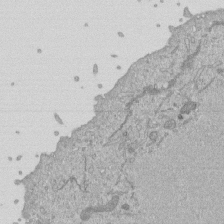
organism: Mouse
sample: ED-1 cell nuclei; centrioles